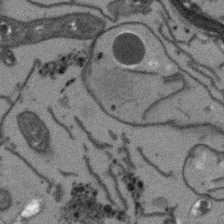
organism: Arabidopsis thaliana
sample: Root tip